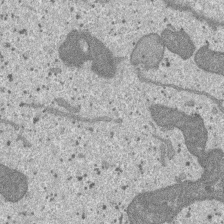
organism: Human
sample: Lung epithelial cells infected with SARS-CoV-2